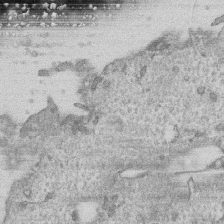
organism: Human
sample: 1205lu cells